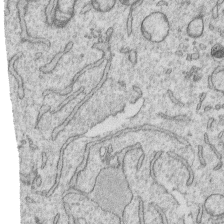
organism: Human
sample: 1205lu cells